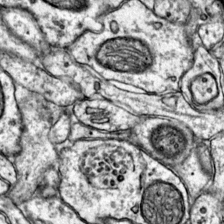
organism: Mouse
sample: Primary visual cortex